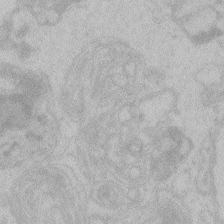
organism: Zebrafish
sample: Macrophage infected with Toxoplasma gondii